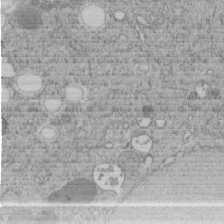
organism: C. elegans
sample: C. elegans embryo early stage